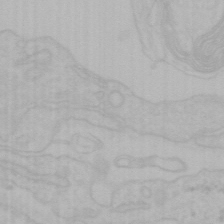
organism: Mouse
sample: Choroid plexus